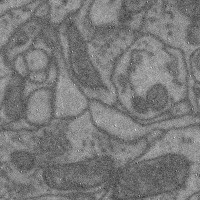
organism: Mouse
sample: Cerebral cortex